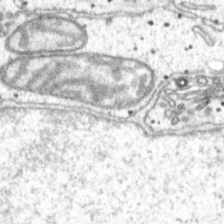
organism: Human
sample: HeLa cells